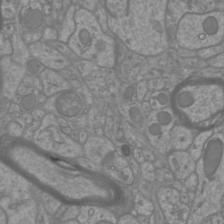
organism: Mouse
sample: Cortical neurons